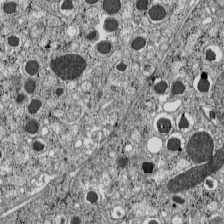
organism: C57BL Mouse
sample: Pancreatic islet